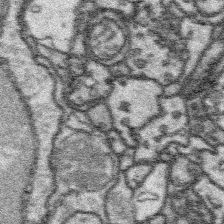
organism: Platynereis dumerilii